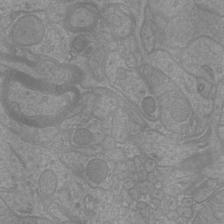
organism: Mouse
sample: Cortical neurons